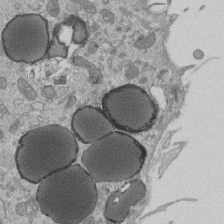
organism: Mouse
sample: ED-1 cell nuclei; centrioles